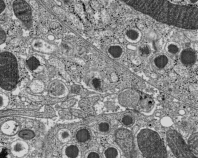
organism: C57BL Mouse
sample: Pancreatic islet